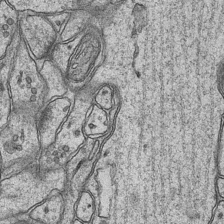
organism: Mouse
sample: CA1 Hippocampus